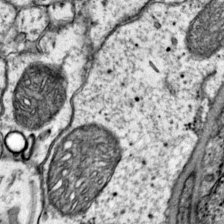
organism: Mouse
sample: Primary visual cortex